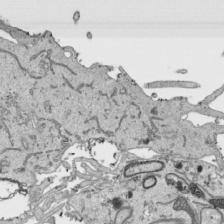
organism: Human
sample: Mitochondria in HCT116 cells